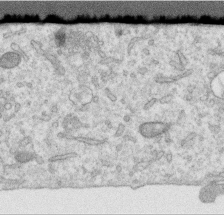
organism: Human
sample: Centriole in RPE cells